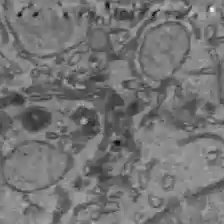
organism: C57BL Mouse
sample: Liver